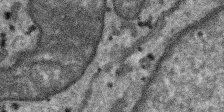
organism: Human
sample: Lung epithelial cells infected with SARS-CoV-2